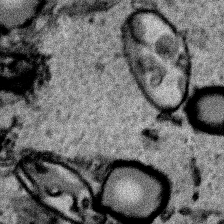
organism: Human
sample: Mitochondria in HCT116 cells